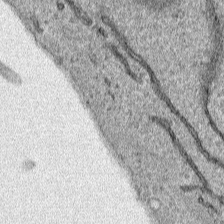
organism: Human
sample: Mitochondria in HCT116 cells